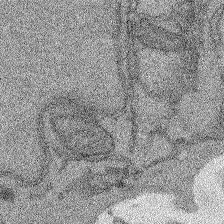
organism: Human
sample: HeLa cells